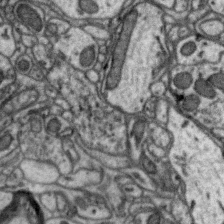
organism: Zebra finch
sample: Brain